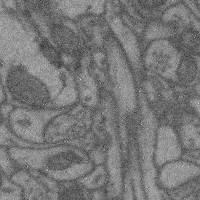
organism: Mouse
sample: Cerebral cortex